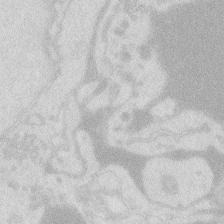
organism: Zebrafish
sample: Macrophage